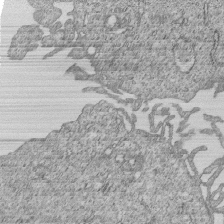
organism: Human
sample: MDA-MB-231 cells